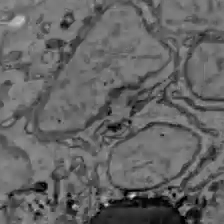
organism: C57BL Mouse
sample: Liver